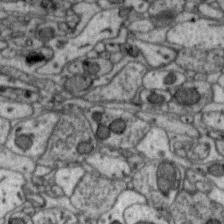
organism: Zebra finch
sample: Brain